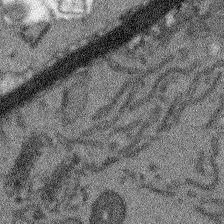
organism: Arabidopsis thaliana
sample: Root tip